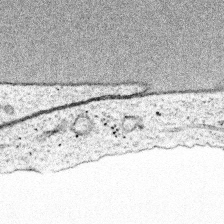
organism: Human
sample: HeLa cells